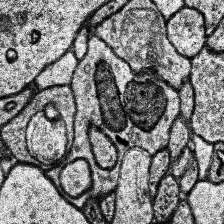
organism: Human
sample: Temporal Lobe